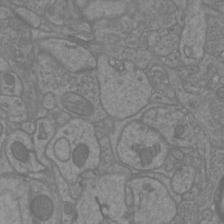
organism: Mouse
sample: Cortical neurons